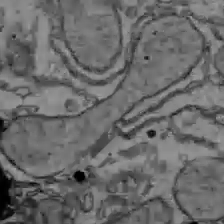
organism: C57BL Mouse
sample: Liver